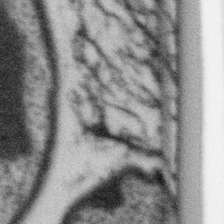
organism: Gemmata obscuriglobus